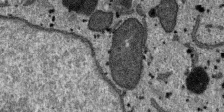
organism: Human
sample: Lung epithelial cells, uninfected (mock) control